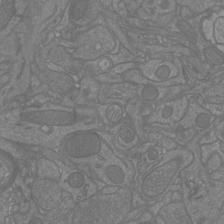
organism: Mouse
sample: Cortical neurons